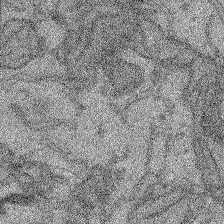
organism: Human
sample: HeLa cells